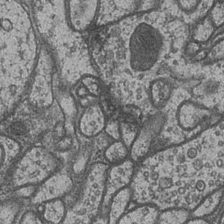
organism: Drosophila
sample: Optic medulla